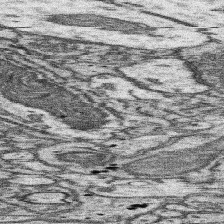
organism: Mouse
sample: Somatosensory cortex neuropil